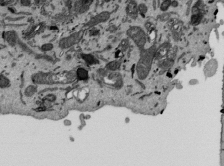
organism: Mouse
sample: ED-1 cell nuclei; centrioles